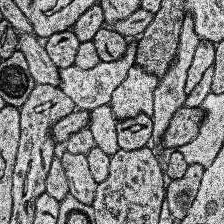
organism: Human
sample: Temporal Lobe